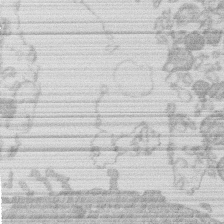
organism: Human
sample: Macrophage cells